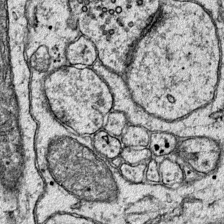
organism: Mouse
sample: Primary visual cortex